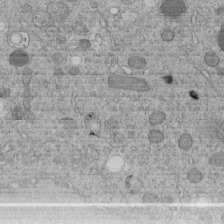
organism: C. elegans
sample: C. elegans embryo early stage